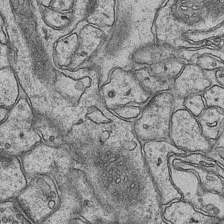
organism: Mouse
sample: CA1 Hippocampus